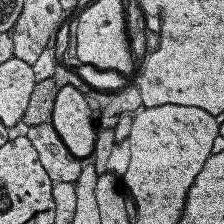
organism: Human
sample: Temporal Lobe